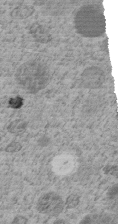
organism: C. elegans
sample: C. elegans embryo early stage